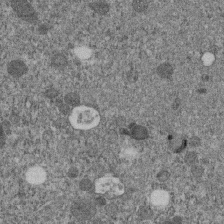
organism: C. elegans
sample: C. elegans embryo early stage